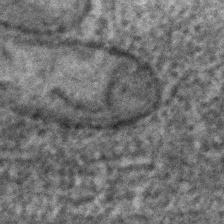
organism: C. elegans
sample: C. elegans embryo